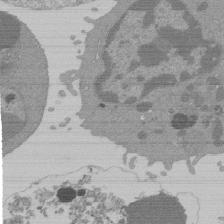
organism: Mouse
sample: Activated Pmel transgenic CD8+ T Cells